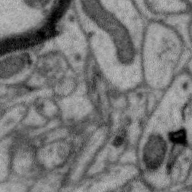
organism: Zebra finch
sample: Brain